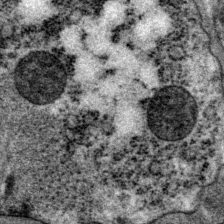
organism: P. pacificus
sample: Pharynx